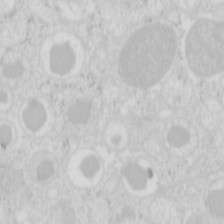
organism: Mouse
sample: Pancreas